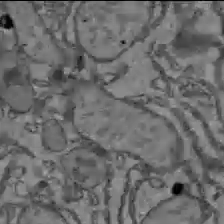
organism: C57BL Mouse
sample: Liver